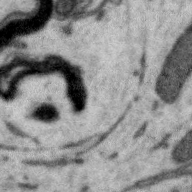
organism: Zebra finch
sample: Brain